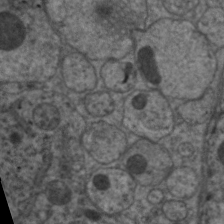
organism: C. elegans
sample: Pharynx